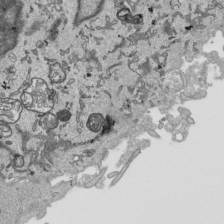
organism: Human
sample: Mitochondria in HCT116 cells